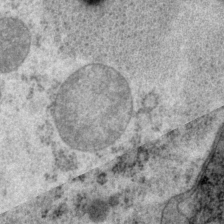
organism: P. pacificus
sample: Pharynx